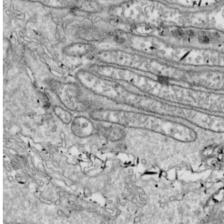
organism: Drosophila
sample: Cell division; meiosis; drosophila spermatocytes